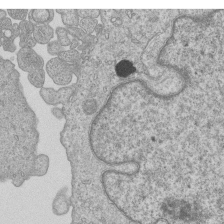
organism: Human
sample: MDA-MB-231 cells